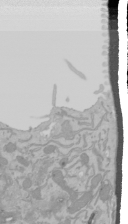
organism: Mouse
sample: Cancer cell death in ED-1 cells